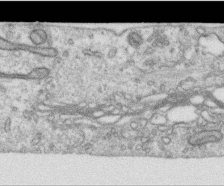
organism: Human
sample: Centriole in RPE cells